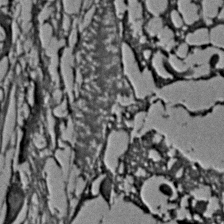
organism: C. elegans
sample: C. elegans embryo